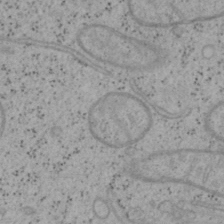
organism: Human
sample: HeLa cells